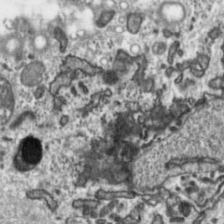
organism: Toxoplasma gondii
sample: Parasites in a vacuole inside a host cell